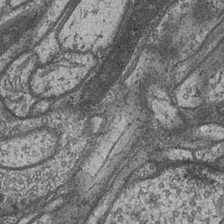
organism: Drosophila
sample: Optic medulla